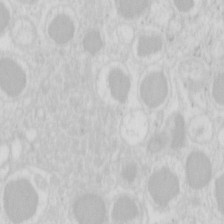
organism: Mouse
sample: Pancreas